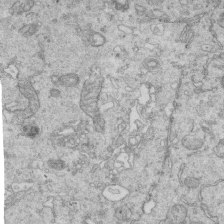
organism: Mouse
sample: Multiciliated cells